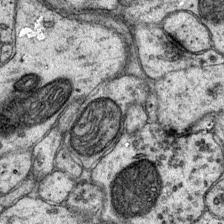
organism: Mouse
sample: Primary visual cortex